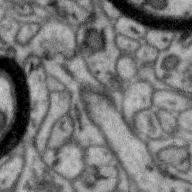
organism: Zebra finch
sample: Brain